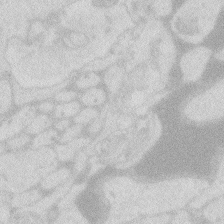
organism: Zebrafish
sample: Macrophage